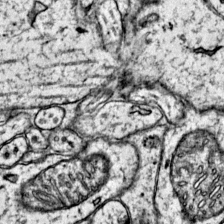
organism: Mouse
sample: Primary visual cortex